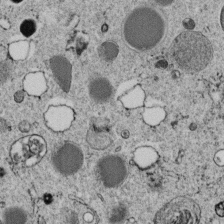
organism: C. elegans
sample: C. elegans embryo early stage